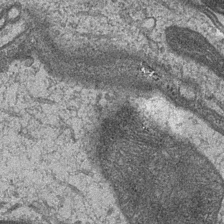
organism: Drosophila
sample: Optic medulla